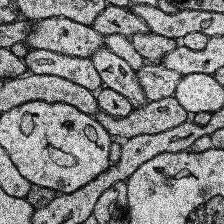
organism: Human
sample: Temporal Lobe